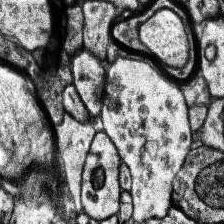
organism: Human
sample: Temporal Lobe